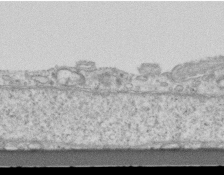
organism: Mouse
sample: Centriole in ependymal cells